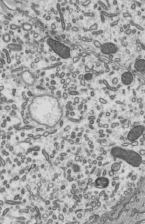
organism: Mouse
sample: Mouse epididymis efferent ductule cilia